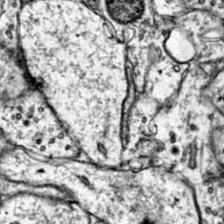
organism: Mouse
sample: Primary visual cortex